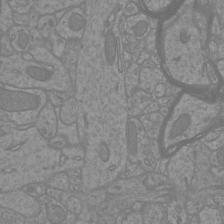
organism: Mouse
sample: Cortical neurons